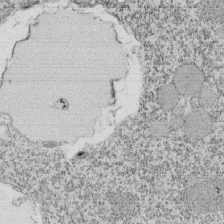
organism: Tetrahymena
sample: Cilia in tetrahymena